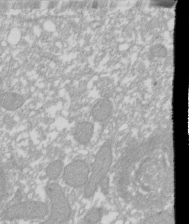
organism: Xenopus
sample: Cilia; centrioles in frog embryo cells